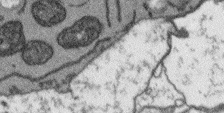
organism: Arabidopsis thaliana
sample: Root tip